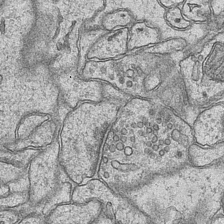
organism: Mouse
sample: CA1 Hippocampus